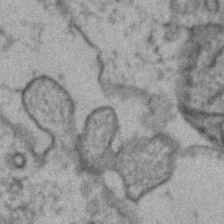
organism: Zebrafish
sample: Zebrafish embryo